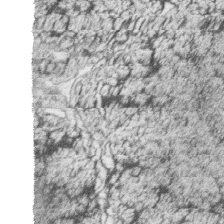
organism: Zebrafish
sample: synaptic ribbons in rod cells and cone cells